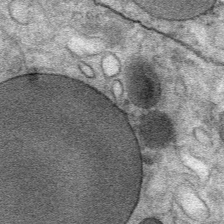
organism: Mouse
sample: Mouse Salivary gland